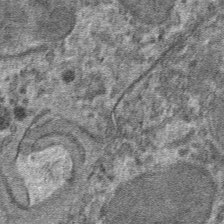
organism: Mouse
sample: Mouse hepatocytes